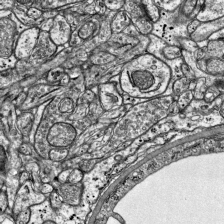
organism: Mouse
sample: Visual Cortex